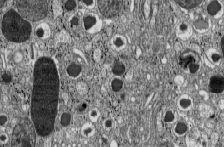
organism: C57BL Mouse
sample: Pancreatic islet